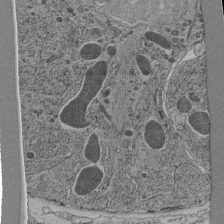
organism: C. elegans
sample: C. elegans pharynx